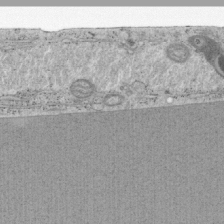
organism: Human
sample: HeLa cells